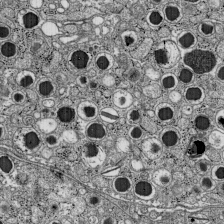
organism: C57BL Mouse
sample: Pancreatic islet